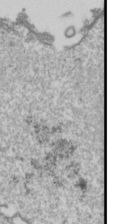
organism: Drosophila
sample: Cell division; meiosis; drosophila spermatocytes